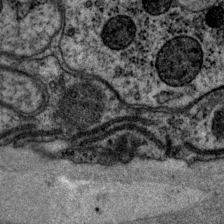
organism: P. pacificus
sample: Pharynx